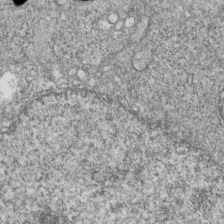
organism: Zebrafish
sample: Cilia; retinal pigment epithelium